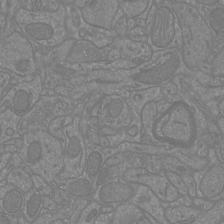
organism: Mouse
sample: Cortical neurons